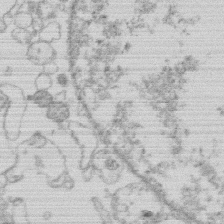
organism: Human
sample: Macrophage cells